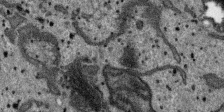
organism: Human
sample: Lung epithelial cells, uninfected (mock) control